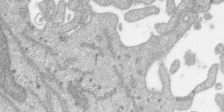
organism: Human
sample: Lung epithelial cells infected with SARS-CoV-2